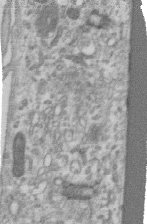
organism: Human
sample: Centriole in RPE cells